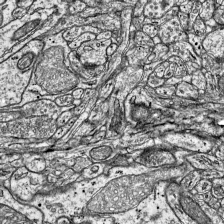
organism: Mouse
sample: Visual Cortex